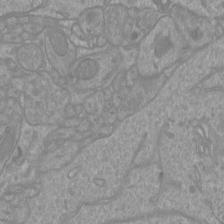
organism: Mouse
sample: Cortical neurons